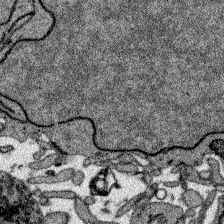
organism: Zebrafish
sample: Larval olfactory bulb